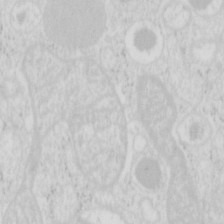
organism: Mouse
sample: Pancreas